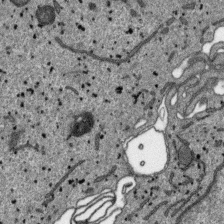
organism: Human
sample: Lung epithelial cells, uninfected (mock) control